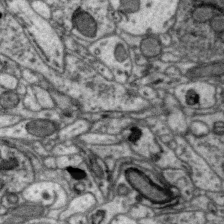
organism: Zebra finch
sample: Brain